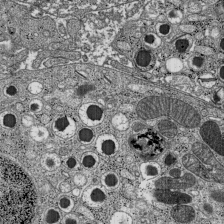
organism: C57BL Mouse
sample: Pancreatic islet